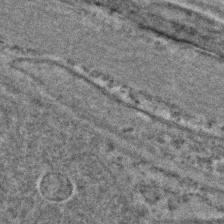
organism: C. elegans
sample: C. elegans embryo